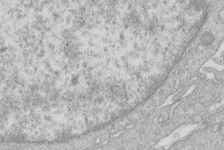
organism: Human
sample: Macrophage cells